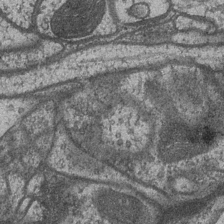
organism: Drosophila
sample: Optic medulla